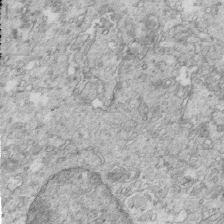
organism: Mouse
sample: Multiciliated cells